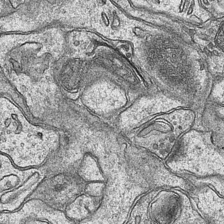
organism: Mouse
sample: CA1 Hippocampus